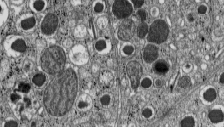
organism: C57BL Mouse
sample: Pancreatic islet